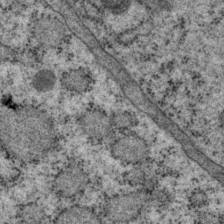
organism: P. pacificus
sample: Pharynx